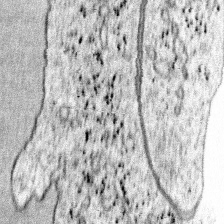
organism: Human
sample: HeLa cells